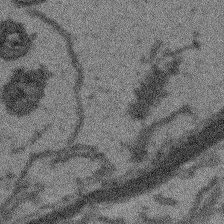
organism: Arabidopsis thaliana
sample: Root tip